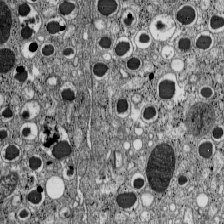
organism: C57BL Mouse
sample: Pancreatic islet